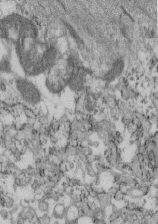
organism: Mouse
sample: Cilia; retinal pigment epithelium